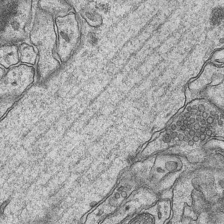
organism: Mouse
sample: CA1 Hippocampus